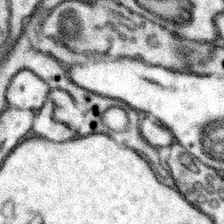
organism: Mouse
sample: Somatosensory cortex neuropil